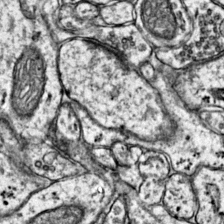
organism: Mouse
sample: Primary visual cortex